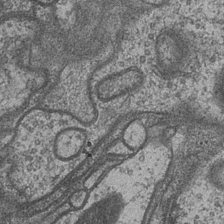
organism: Drosophila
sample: Optic medulla